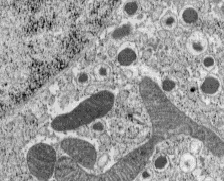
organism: C57BL Mouse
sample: Pancreatic islet